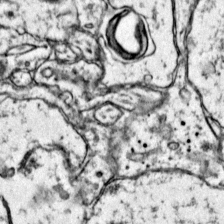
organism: Mouse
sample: Primary visual cortex